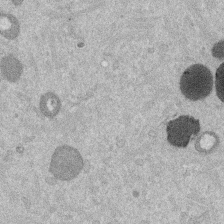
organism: Mouse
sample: Dividing mouse embryo 1 cell stage